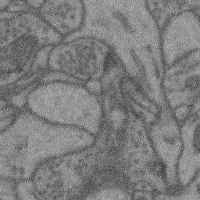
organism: Mouse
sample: Cerebral cortex